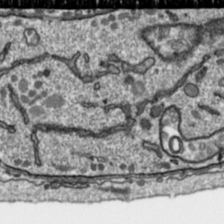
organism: Toxoplasma gondii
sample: Parasites in a vacuole inside a host cell